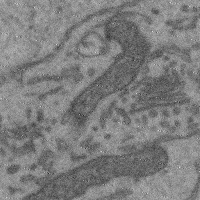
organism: Mouse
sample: Cerebral cortex